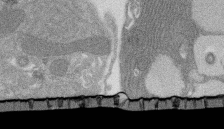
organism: Rat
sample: Salivary granule